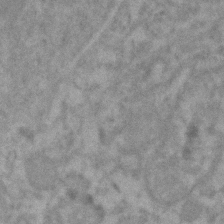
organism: Human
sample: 1205lu cells